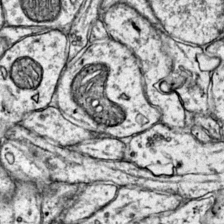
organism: Mouse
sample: Primary visual cortex